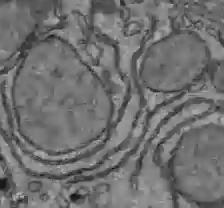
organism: C57BL Mouse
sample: Liver